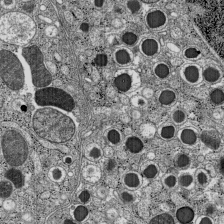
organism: C57BL Mouse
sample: Pancreatic islet